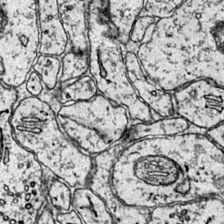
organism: Mouse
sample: Primary visual cortex